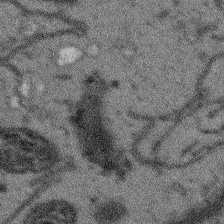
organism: Arabidopsis thaliana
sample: Root tip